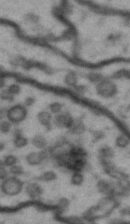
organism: Drosophila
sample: Brain